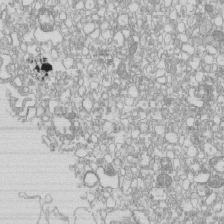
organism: Mouse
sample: Macrophages